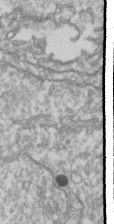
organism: Drosophila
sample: Cell division; meiosis; drosophila spermatocytes